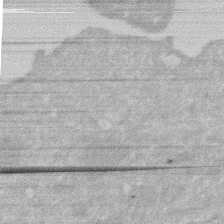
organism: Human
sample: HIV infected U937 cells